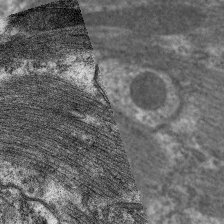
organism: C. elegans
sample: Pharynx